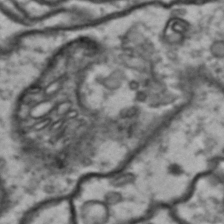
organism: Drosophila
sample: Brain